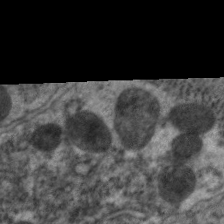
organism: C. elegans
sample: Pharynx